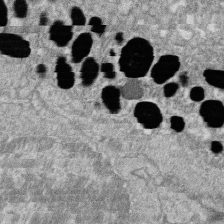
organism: Zebrafish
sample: Cilia; retinal pigment epithelium